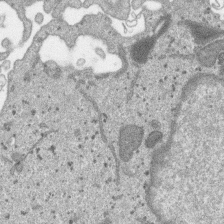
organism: Human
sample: Lung epithelial cells infected with SARS-CoV-2